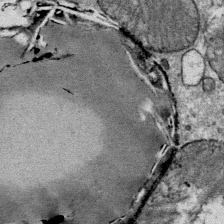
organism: Mouse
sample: Mouse Salivary gland